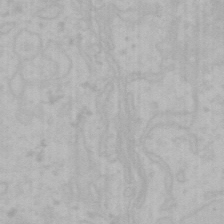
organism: Mouse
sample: Choroid plexus